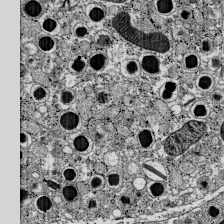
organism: C57BL Mouse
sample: Pancreatic islet